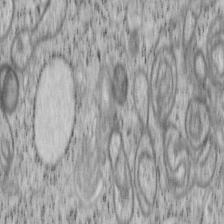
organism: Human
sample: HeLa cells